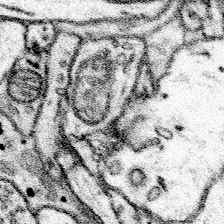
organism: Mouse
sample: Somatosensory cortex neuropil